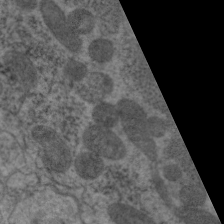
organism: C. elegans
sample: Pharynx